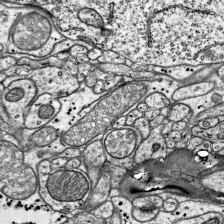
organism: Mouse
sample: Visual Cortex